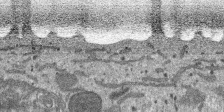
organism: Human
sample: Lung epithelial cells infected with SARS-CoV-2